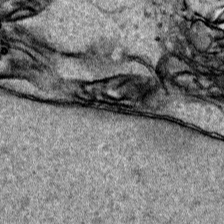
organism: Human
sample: Mitochondria in HCT116 cells